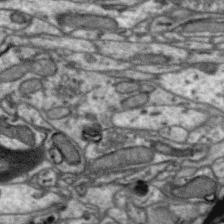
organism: Zebra finch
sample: Brain